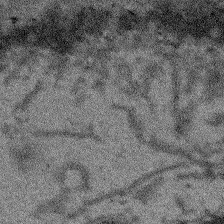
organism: Arabidopsis thaliana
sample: Root tip